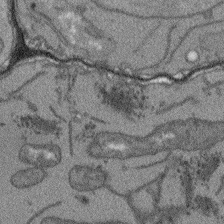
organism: Arabidopsis thaliana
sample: Root tip